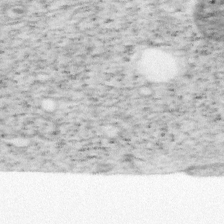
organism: Mouse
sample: OT-I killer T cells with ID8 ovarian cancer cells